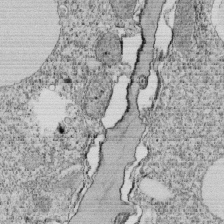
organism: Tetrahymena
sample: Cilia in tetrahymena